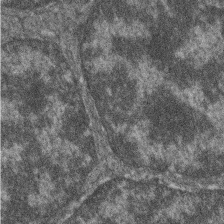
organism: Zebrafish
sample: Cilia; retinal pigment epithelium